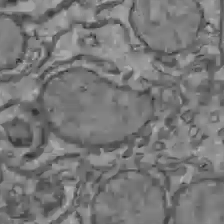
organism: C57BL Mouse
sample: Liver